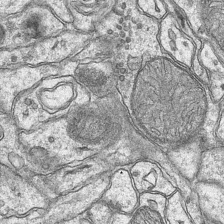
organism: Mouse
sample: CA1 Hippocampus